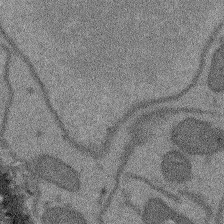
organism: Arabidopsis thaliana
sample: Root tip